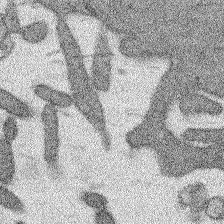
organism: Human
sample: HeLa cells